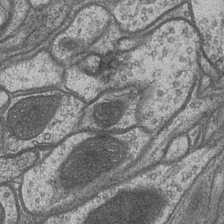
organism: Drosophila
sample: Optic medulla